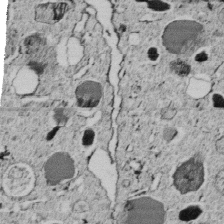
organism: C. elegans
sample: C. elegans embryo early stage